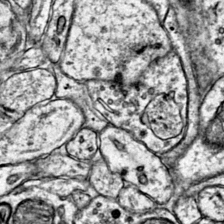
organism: Mouse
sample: Primary visual cortex